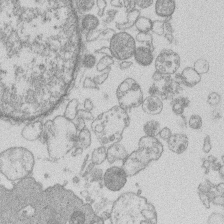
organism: Human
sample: Macrophage cells